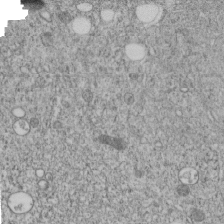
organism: C. elegans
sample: C. elegans embryo early stage